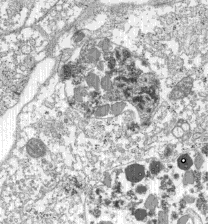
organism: C57BL Mouse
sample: Pancreatic islet